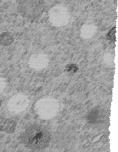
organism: C. elegans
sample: C. elegans embryo early stage